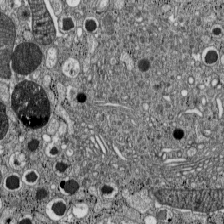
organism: C57BL Mouse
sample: Pancreatic islet